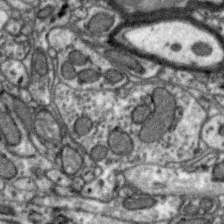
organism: Zebra finch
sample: Brain